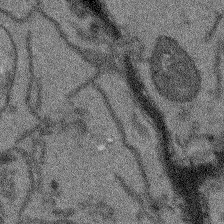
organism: Arabidopsis thaliana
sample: Root tip